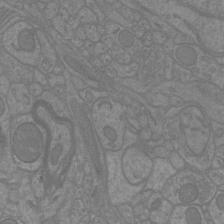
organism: Mouse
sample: Cortical neurons